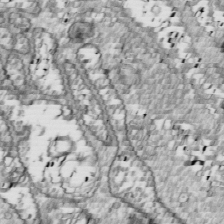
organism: Drosophila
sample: Cell division; meiosis; drosophila spermatocytes